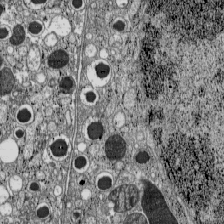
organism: C57BL Mouse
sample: Pancreatic islet